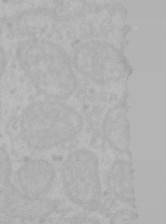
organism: Mouse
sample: Choroid plexus